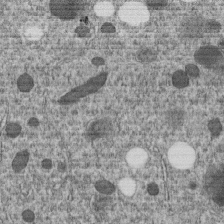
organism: C. elegans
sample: C. elegans embryo early stage